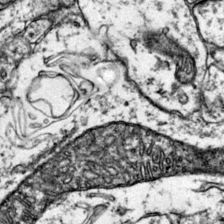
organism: Mouse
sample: Primary visual cortex